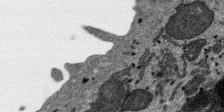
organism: Human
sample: Lung epithelial cells, uninfected (mock) control